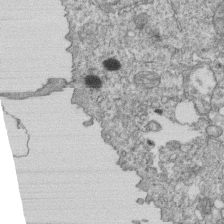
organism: Human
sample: HeLa cell HIV synapse